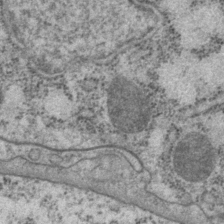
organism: P. pacificus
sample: Pharynx